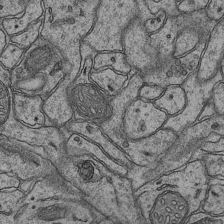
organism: Mouse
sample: CA1 Hippocampus